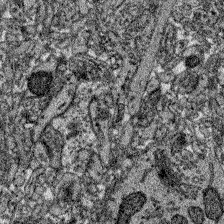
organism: Zebrafish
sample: Larval olfactory bulb